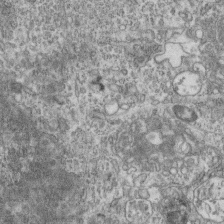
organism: Mouse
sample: Centriole in ependymal cells